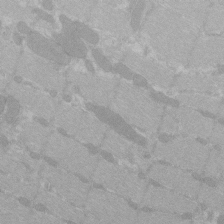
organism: C57BL Mouse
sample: Tibialis anterior muscle cell